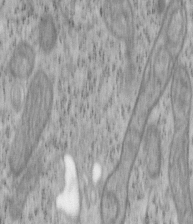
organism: Human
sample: HeLa cells